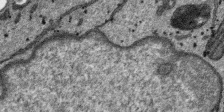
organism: Human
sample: Lung epithelial cells, uninfected (mock) control